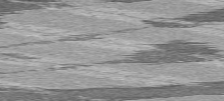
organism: C57BL Mouse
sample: Heart